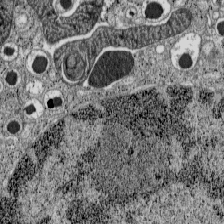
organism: C57BL Mouse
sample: Pancreatic islet